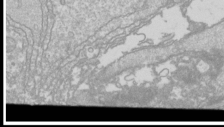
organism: Drosophila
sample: Cell division; meiosis; drosophila spermatocytes